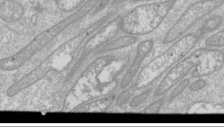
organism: Drosophila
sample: Cell division; meiosis; drosophila spermatocytes